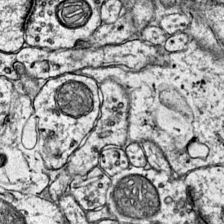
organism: Mouse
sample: Primary visual cortex